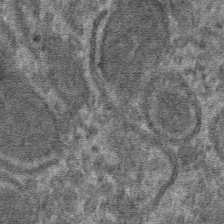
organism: Mouse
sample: Mouse hepatocytes